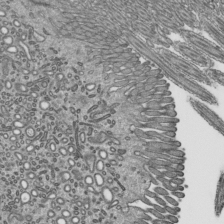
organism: Mouse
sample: Mouse epididymis efferent ductule cilia